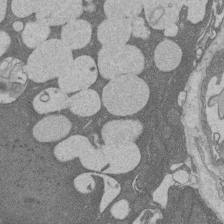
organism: Rat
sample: Salivary granule